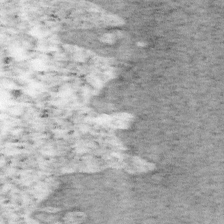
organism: Mouse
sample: OT-I killer T cells with ID8 ovarian cancer cells